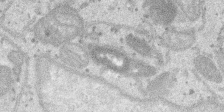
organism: Human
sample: Lung epithelial cells infected with SARS-CoV-2